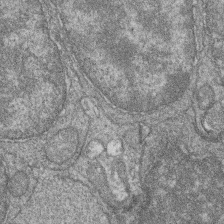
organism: Zebrafish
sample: Cilia; retinal pigment epithelium